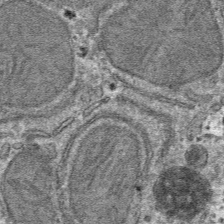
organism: Mouse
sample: Mouse hepatocytes